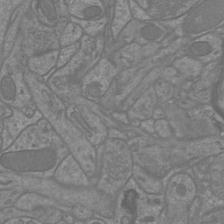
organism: Mouse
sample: Cortical neurons